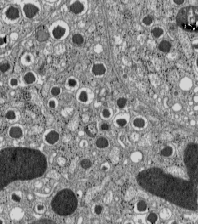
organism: C57BL Mouse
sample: Pancreatic islet